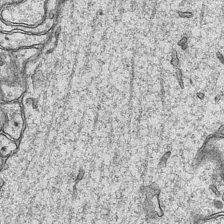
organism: Mouse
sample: CA1 Hippocampus